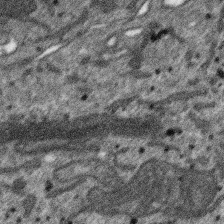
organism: Human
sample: Lung epithelial cells infected with SARS-CoV-2